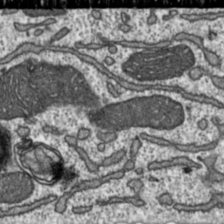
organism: Toxoplasma gondii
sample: Parasites in a vacuole inside a host cell